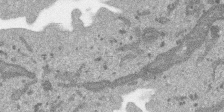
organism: Human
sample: Lung epithelial cells infected with SARS-CoV-2